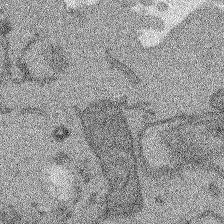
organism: Human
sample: HeLa cells